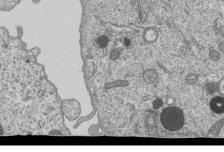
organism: Human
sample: MDA-MB-231 cells